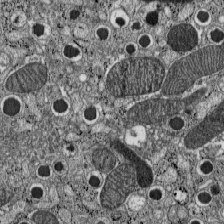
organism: C57BL Mouse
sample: Pancreatic islet